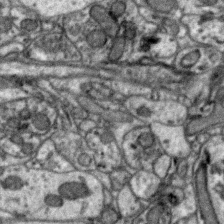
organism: Zebra finch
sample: Brain